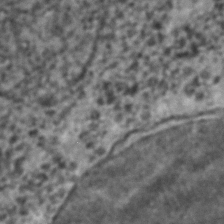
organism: C. elegans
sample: C. elegans embryo